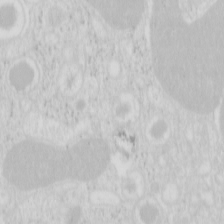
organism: Mouse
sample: Pancreas